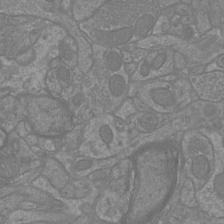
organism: Mouse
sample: Cortical neurons